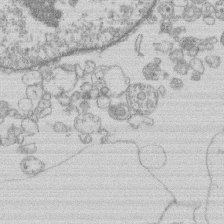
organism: Human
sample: Macrophage cells